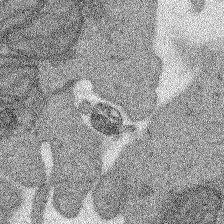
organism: Human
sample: HeLa cells